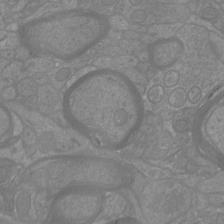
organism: Mouse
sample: Cortical neurons